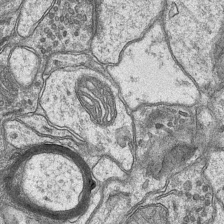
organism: Mouse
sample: CA1 Hippocampus